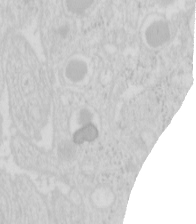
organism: Mouse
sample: Pancreas